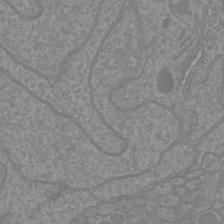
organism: Mouse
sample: Cortical neurons